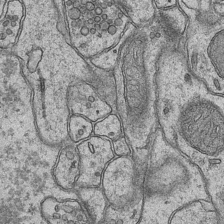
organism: Mouse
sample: CA1 Hippocampus